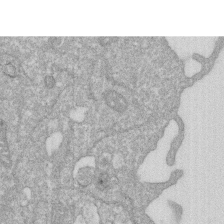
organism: Human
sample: HIV infected U937 cells